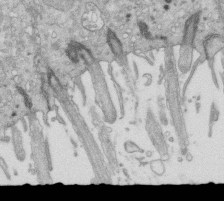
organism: Mouse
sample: Multiciliated cells